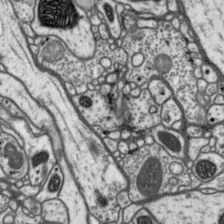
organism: Drosophila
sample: Protocerebral bridge